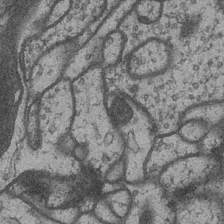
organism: Drosophila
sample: Optic medulla